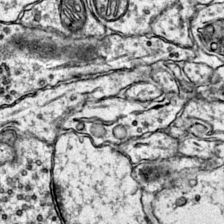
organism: Mouse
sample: Primary visual cortex